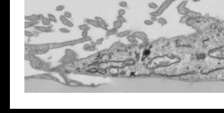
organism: Human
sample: Mitochondria in HCT116 cells